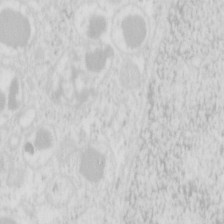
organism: Mouse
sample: Pancreas